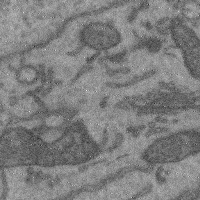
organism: Mouse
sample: Cerebral cortex